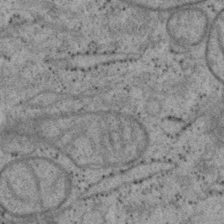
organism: Human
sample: HeLa cells